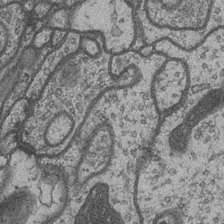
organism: Drosophila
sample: Optic medulla